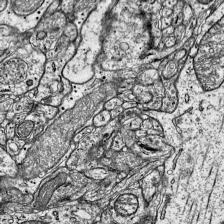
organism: Mouse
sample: Visual Cortex